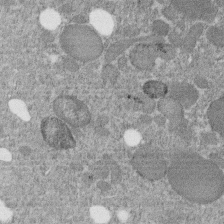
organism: C. elegans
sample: C. elegans embryo early stage